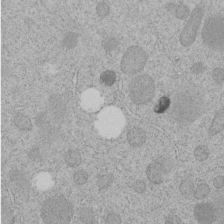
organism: C. elegans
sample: C. elegans embryo early stage